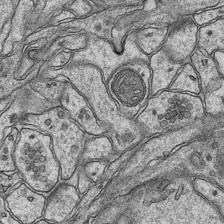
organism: Mouse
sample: CA1 Hippocampus